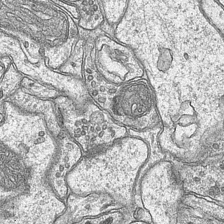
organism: Mouse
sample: CA1 Hippocampus